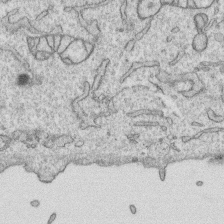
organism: Human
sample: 1205lu cells